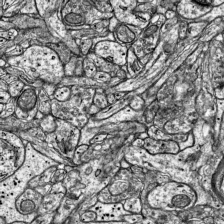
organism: Mouse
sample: Visual Cortex